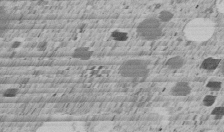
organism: C. elegans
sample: C. elegans embryo early stage